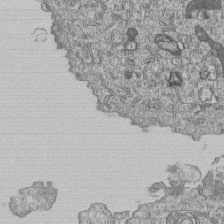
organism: Human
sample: MDA-MB-231 cells